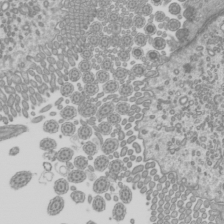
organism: Mouse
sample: Cilia; mouse epididymis